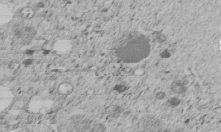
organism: C. elegans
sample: C. elegans embryo early stage